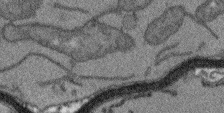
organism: Arabidopsis thaliana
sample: Root tip